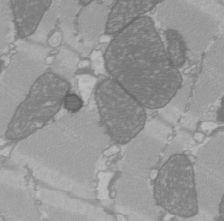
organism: C57BL Mouse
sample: Heart